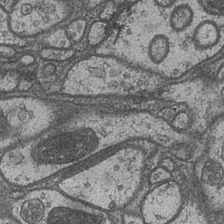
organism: Drosophila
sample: Optic medulla